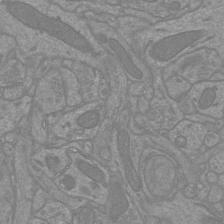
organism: Mouse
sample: Cortical neurons